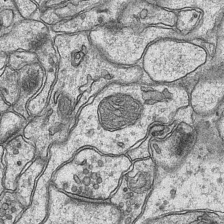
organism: Mouse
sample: CA1 Hippocampus